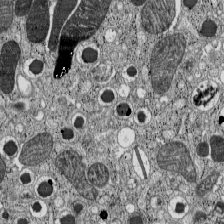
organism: C57BL Mouse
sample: Pancreatic islet